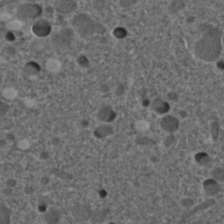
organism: C. elegans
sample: C. elegans embryo